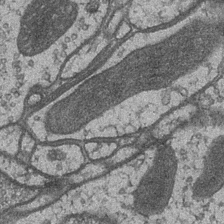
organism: Drosophila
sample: Optic medulla